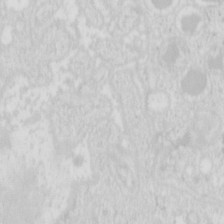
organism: Mouse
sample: Pancreas